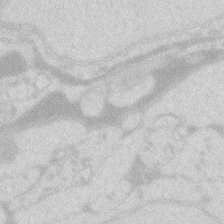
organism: Zebrafish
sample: Macrophage